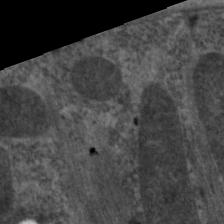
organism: C. elegans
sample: Pharynx